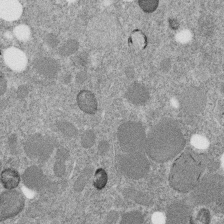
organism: C. elegans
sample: C. elegans embryo early stage